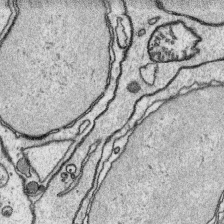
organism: Platynereis dumerilii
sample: Parapodia